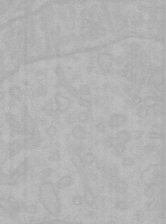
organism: Mouse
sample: Choroid plexus